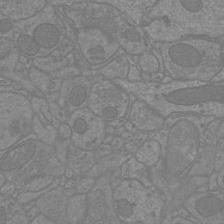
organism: Mouse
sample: Cortical neurons